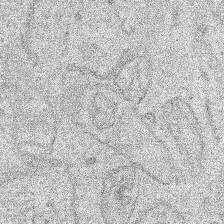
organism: Human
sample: Mitochondria in HCT116 cells